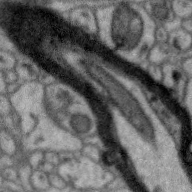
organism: Zebra finch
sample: Brain